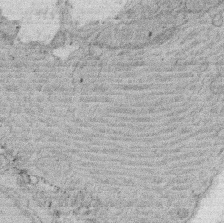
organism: Rat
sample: Salivary granule